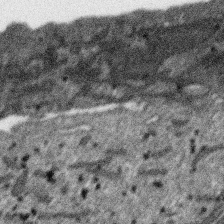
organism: Human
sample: Lung epithelial cells infected with SARS-CoV-2